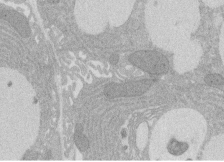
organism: Rat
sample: Salivary granule